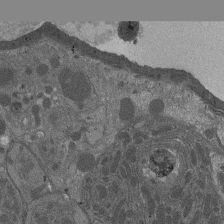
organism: Drosophila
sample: Antenna